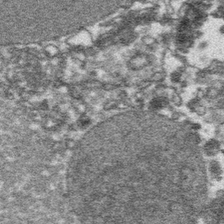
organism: Platynereis dumerilii